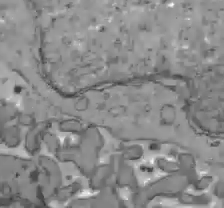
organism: C57BL Mouse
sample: Liver